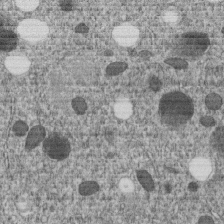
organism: C. elegans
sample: C. elegans embryo early stage